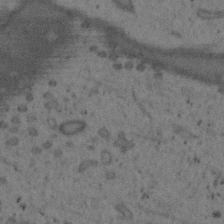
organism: Human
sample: HeLa cells